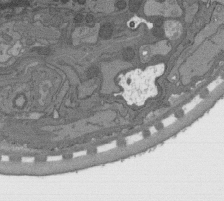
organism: C. elegans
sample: AFD neurons C. elegans